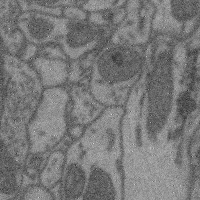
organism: Mouse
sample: Cerebral cortex